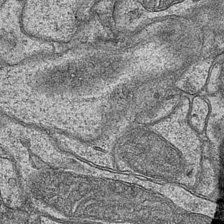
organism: Mouse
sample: CA1 Hippocampus